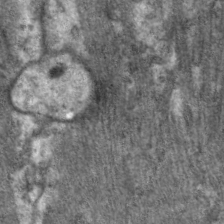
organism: C. elegans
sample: Pharynx